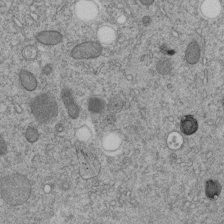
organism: C. elegans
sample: C. elegans embryo early stage